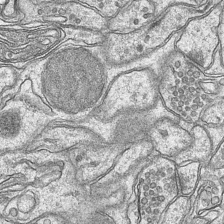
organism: Mouse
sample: CA1 Hippocampus